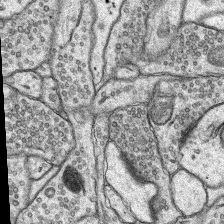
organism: Rat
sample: Hippocampus